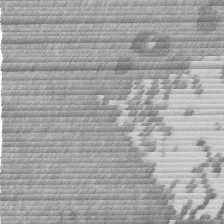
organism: Mouse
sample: Dividing mouse embryo 1 cell stage